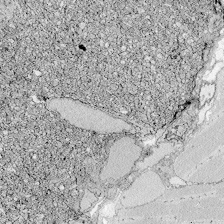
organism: Zebrafish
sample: Whole-Brain